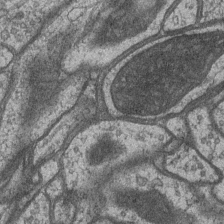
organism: Drosophila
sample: Optic medulla